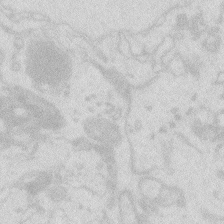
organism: Zebrafish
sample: Macrophage